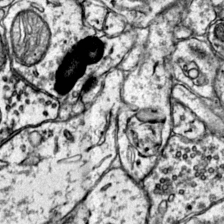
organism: Mouse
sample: Primary visual cortex